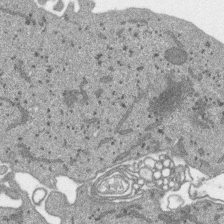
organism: Human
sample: Lung epithelial cells infected with SARS-CoV-2